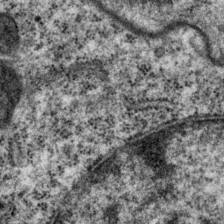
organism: P. pacificus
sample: Pharynx